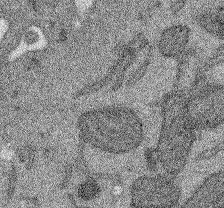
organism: Human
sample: HeLa cells